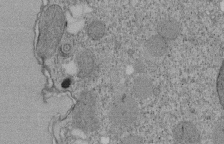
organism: Tetrahymena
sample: Cilia in tetrahymena